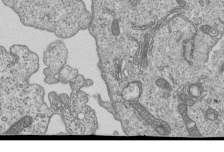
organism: Human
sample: MDA-MB-231 cells